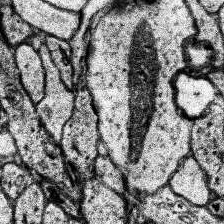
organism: Human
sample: Temporal Lobe